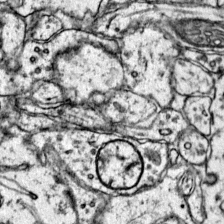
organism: Mouse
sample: Primary visual cortex